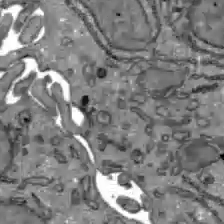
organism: C57BL Mouse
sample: Liver